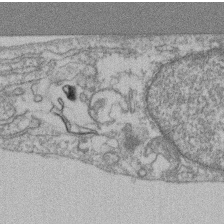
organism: Mouse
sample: T cell stromal cell synapse